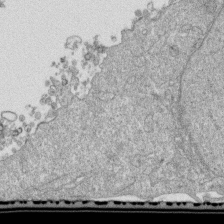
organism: Human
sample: HeLa cell HIV synapse